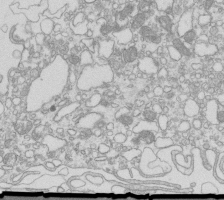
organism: Mouse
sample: Macrophages